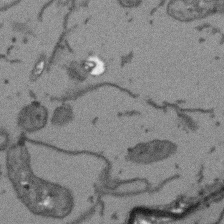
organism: Arabidopsis thaliana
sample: Root tip